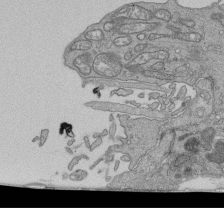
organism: Human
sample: Retinal organoid Rod and Cone cells